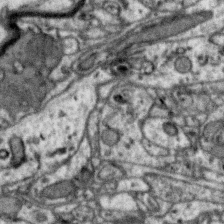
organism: Zebra finch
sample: Brain